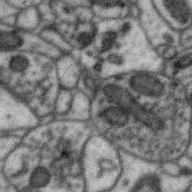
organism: Zebra finch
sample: Brain